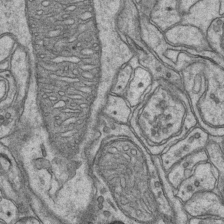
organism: Mouse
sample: CA1 Hippocampus